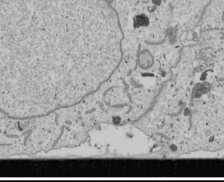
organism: Human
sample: Mitochondria in U2OS cells